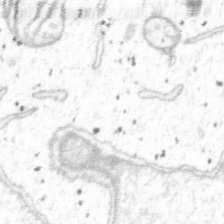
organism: Human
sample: HeLa cells